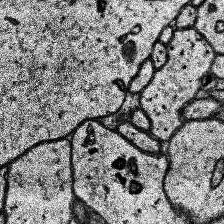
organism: Human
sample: Temporal Lobe